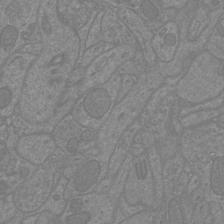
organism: Mouse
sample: Cortical neurons